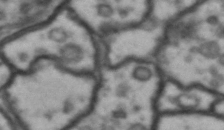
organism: Drosophila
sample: Brain